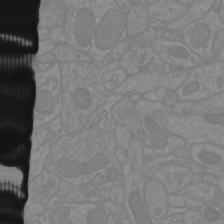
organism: Mouse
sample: Cortical neurons